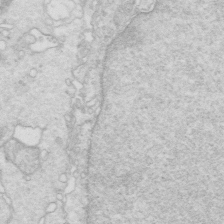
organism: Mouse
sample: Multiciliated cells